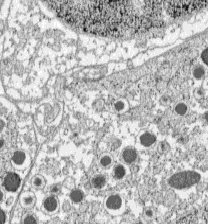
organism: C57BL Mouse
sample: Pancreatic islet